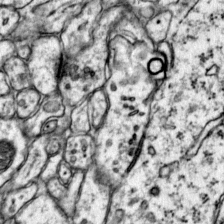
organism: Mouse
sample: Primary visual cortex